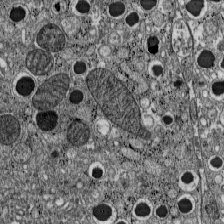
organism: C57BL Mouse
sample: Pancreatic islet